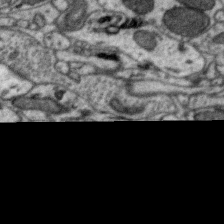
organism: Zebra finch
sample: Brain